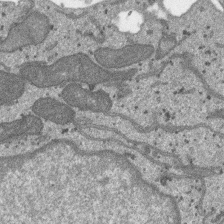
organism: Human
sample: Lung epithelial cells infected with SARS-CoV-2